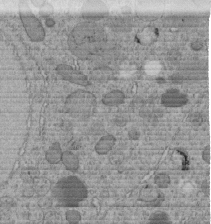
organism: C. elegans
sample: C. elegans embryo early stage